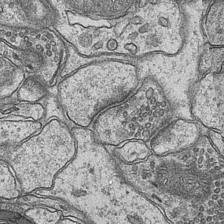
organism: Mouse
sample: CA1 Hippocampus